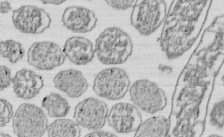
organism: E. coli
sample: Bacterial nucleoid